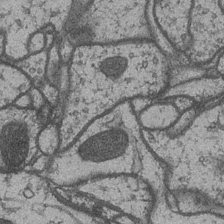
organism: Drosophila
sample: Optic medulla